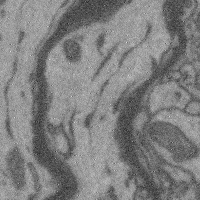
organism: Mouse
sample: Cerebral cortex